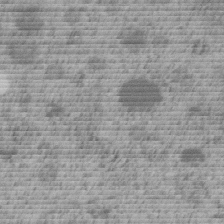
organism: C. elegans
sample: C. elegans embryo early stage